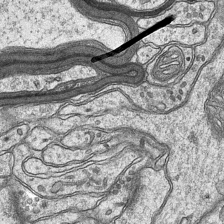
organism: Mouse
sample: CA1 Hippocampus